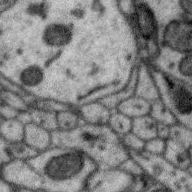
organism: Zebra finch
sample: Brain